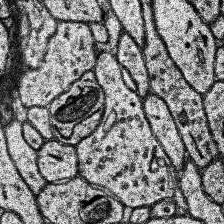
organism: Human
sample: Temporal Lobe